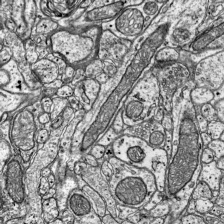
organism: Mouse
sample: Visual Cortex